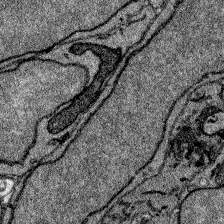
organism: Zebrafish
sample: Larval olfactory bulb